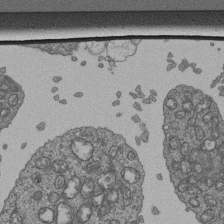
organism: Human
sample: Retinal organoid Rod and Cone cells